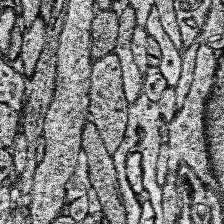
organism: Human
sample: Temporal Lobe